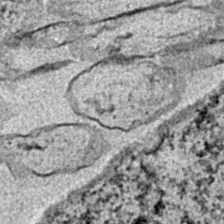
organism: C. elegans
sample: C. elegans embryo